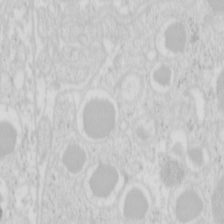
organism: Mouse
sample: Pancreas